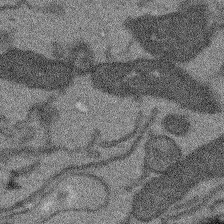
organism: Arabidopsis thaliana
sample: Root tip